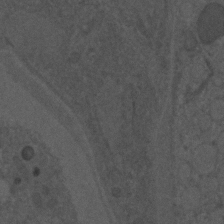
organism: C. elegans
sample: C. elegans embryo